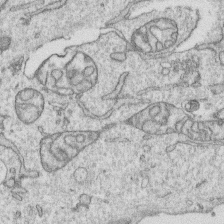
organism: Human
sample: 1205lu cells